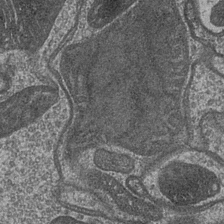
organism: Drosophila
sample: Optic medulla